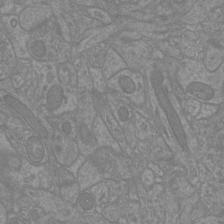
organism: Mouse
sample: Cortical neurons